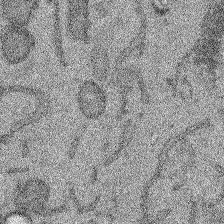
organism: Human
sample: HeLa cells